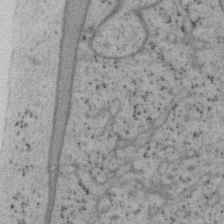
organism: Human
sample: HeLa cells